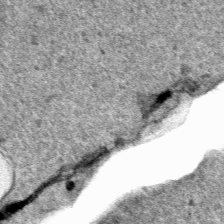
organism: Human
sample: Mitochondria in HCT116 cells